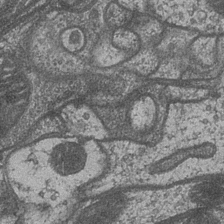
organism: Drosophila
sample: Optic medulla